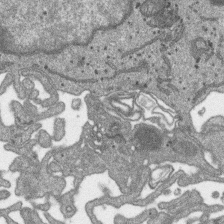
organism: Human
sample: Lung epithelial cells infected with SARS-CoV-2